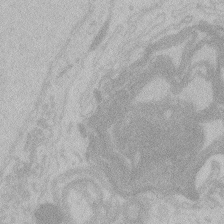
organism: Zebrafish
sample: Macrophage infected with Toxoplasma gondii